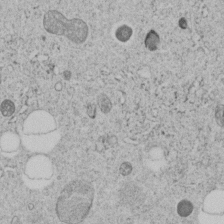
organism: C. elegans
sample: C. elegans embryo early stage